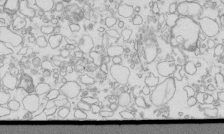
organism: Mouse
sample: Macrophages